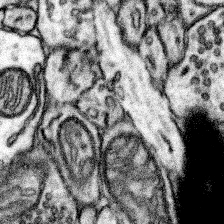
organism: Mouse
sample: Somatosensory cortex neuropil